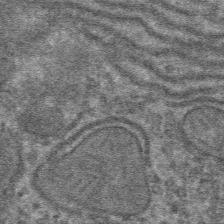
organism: Mouse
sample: Mouse hepatocytes